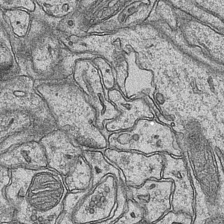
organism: Mouse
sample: CA1 Hippocampus